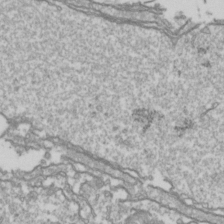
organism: Drosophila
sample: Cell division; meiosis; drosophila spermatocytes